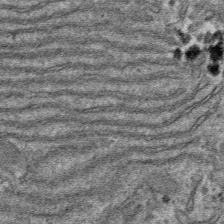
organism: Mouse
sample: Mouse hepatocytes